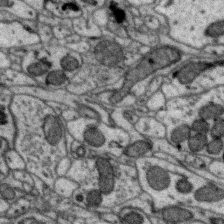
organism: Zebra finch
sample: Brain